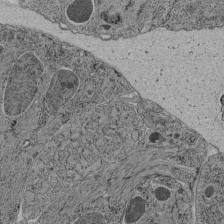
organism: C. elegans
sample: C. elegans pharynx